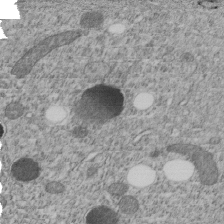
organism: C. elegans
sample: C. elegans embryo early stage